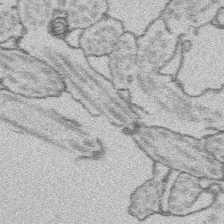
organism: Platynereis dumerilii